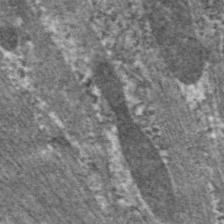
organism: C. elegans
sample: Pharynx